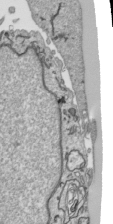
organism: Human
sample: Mitochondria in HCT116 cells